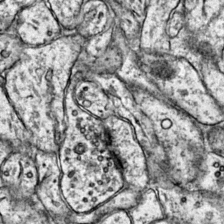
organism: Mouse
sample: Primary visual cortex